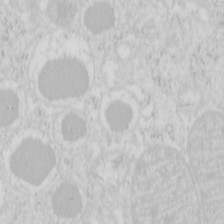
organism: Mouse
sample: Pancreas